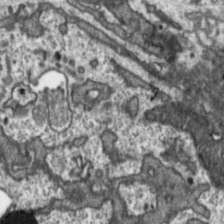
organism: Toxoplasma gondii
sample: Parasites in a vacuole inside a host cell